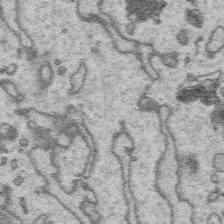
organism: Platynereis dumerilii